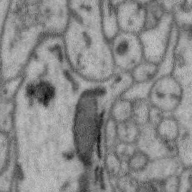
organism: Zebra finch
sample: Brain